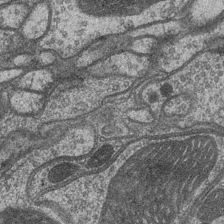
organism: Drosophila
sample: Optic medulla